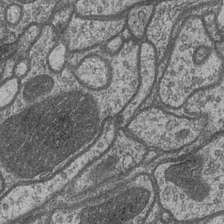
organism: Drosophila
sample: Optic medulla